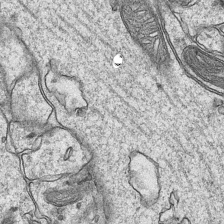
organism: Mouse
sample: CA1 Hippocampus